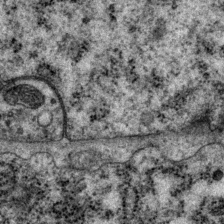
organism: P. pacificus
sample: Pharynx